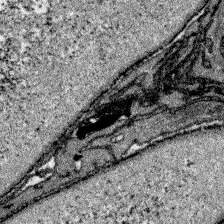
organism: Zebrafish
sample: Larval olfactory bulb